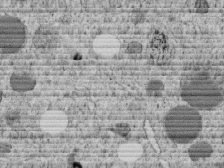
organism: C. elegans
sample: C. elegans embryo early stage